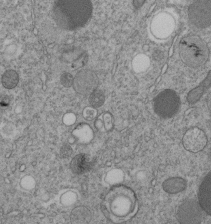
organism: C. elegans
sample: C. elegans embryo early stage